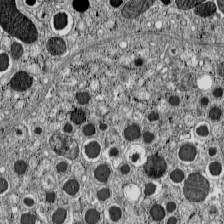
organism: C57BL Mouse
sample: Pancreatic islet